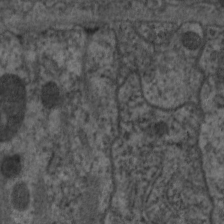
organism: C. elegans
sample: Pharynx